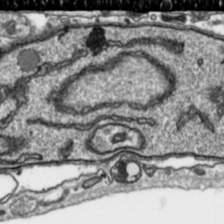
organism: Toxoplasma gondii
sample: Parasites in a vacuole inside a host cell